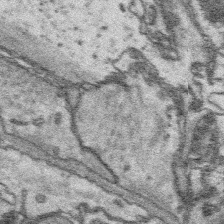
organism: Platynereis dumerilii